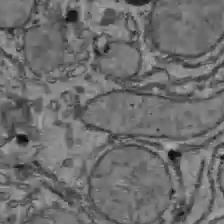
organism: C57BL Mouse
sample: Liver